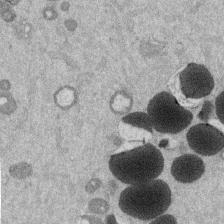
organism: Mouse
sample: Dividing mouse embryo 1 cell stage